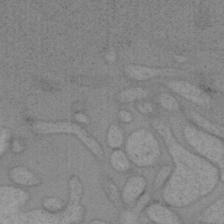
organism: Mouse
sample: OT-I killer T cells with ID8 ovarian cancer cells